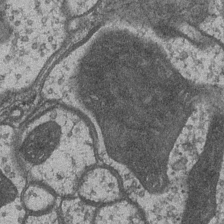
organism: Drosophila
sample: Optic medulla